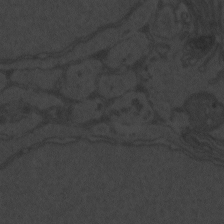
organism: Zebrafish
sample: Macrophage infected with Toxoplasma gondii